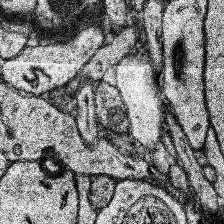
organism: Human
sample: Temporal Lobe